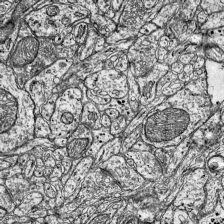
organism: Mouse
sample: Visual Cortex